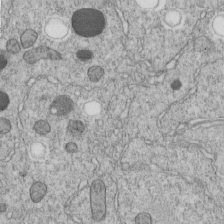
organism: C. elegans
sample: C. elegans embryo early stage